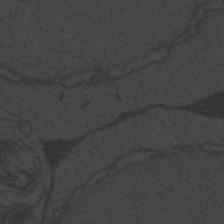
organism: Zebrafish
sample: Macrophage infected with Toxoplasma gondii